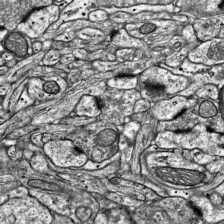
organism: Mouse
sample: Visual Cortex